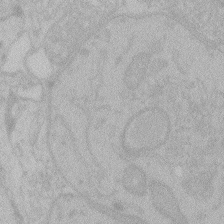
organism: Zebrafish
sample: Macrophage infected with Toxoplasma gondii